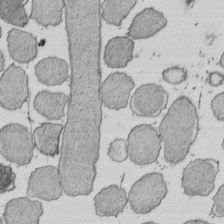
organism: E. coli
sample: Bacterial nucleoid